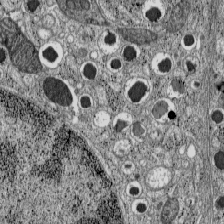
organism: C57BL Mouse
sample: Pancreatic islet